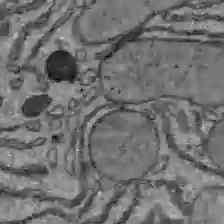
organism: C57BL Mouse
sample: Liver